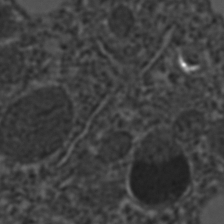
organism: C. elegans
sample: C. elegans embryo